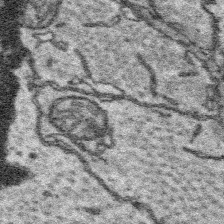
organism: Platynereis dumerilii